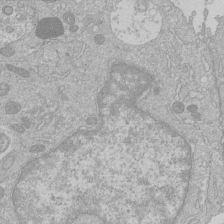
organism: Human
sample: Macrophage cells